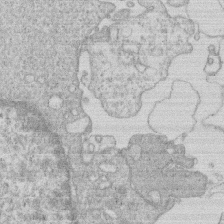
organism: Human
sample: Macrophage cells